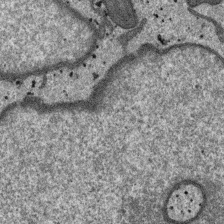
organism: Human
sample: Lung epithelial cells, uninfected (mock) control